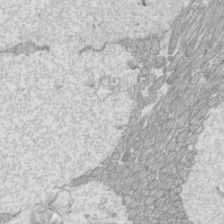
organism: Mouse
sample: Cilia; mouse epididymis